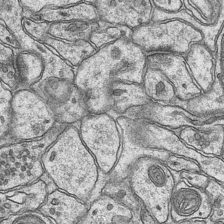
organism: Mouse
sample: CA1 Hippocampus